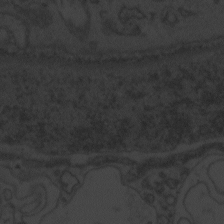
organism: Zebrafish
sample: Macrophage infected with Toxoplasma gondii